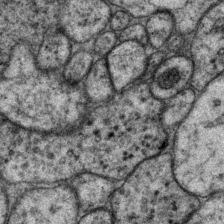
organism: P. pacificus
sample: Pharynx